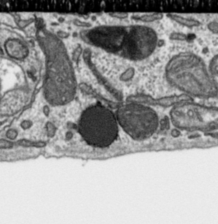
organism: Toxoplasma gondii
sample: Parasites in a vacuole inside a host cell